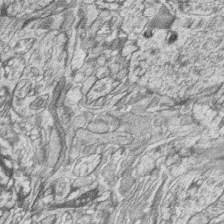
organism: Zebrafish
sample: synaptic ribbons in rod cells and cone cells